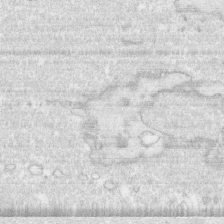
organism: Human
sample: CRL-1474